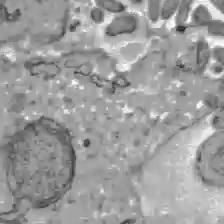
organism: C57BL Mouse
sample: Liver